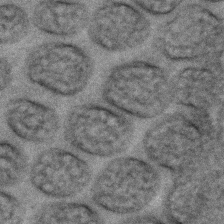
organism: C. elegans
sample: C. elegans embryo